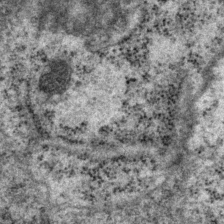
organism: P. pacificus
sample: Pharynx